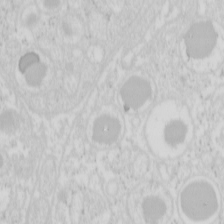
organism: Mouse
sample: Pancreas